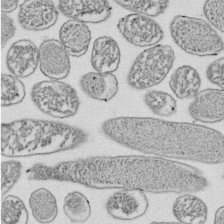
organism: E. coli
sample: Bacterial nucleoid